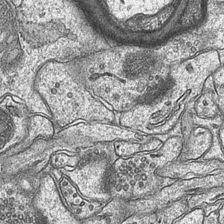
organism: Mouse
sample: CA1 Hippocampus